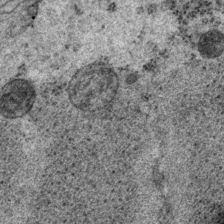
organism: P. pacificus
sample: Pharynx